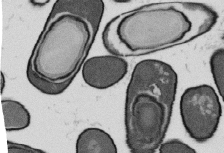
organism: B. subtilis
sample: Bacterial spore